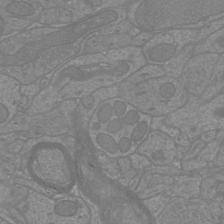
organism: Mouse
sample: Cortical neurons